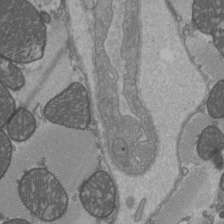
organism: C57BL Mouse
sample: Heart